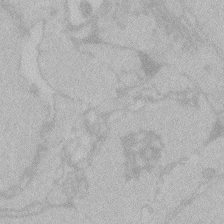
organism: Zebrafish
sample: Macrophage infected with Toxoplasma gondii